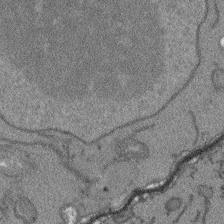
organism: Arabidopsis thaliana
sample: Root tip